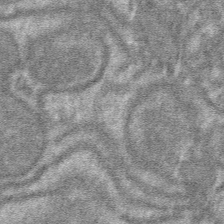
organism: Mouse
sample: Mouse hepatocytes